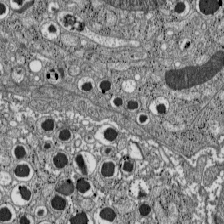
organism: C57BL Mouse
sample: Pancreatic islet